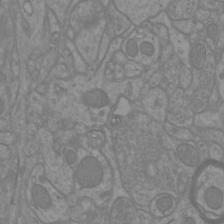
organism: Mouse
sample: Cortical neurons